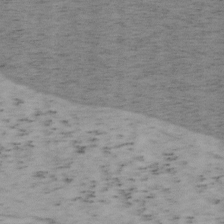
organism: Mouse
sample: OT-I killer T cells with ID8 ovarian cancer cells